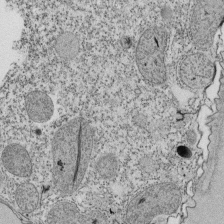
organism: Tetrahymena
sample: Cilia in tetrahymena